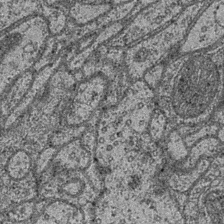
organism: Drosophila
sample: Optic medulla